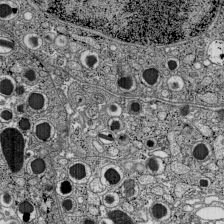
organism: C57BL Mouse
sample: Pancreatic islet